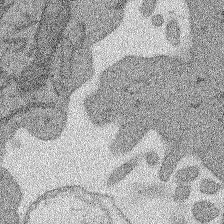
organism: Human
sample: HeLa cells